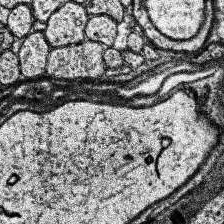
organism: Human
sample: Temporal Lobe